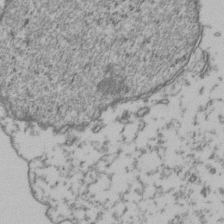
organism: Human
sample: Activated Jurkat CD4+ T cells